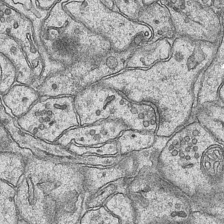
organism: Mouse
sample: CA1 Hippocampus